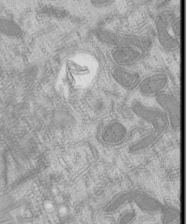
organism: Mouse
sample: Cilia; mouse epididymis